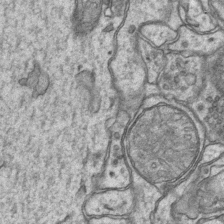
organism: Mouse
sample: CA1 Hippocampus